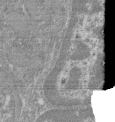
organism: Mouse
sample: Glomerulus